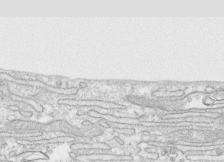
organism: Human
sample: CRL-1474